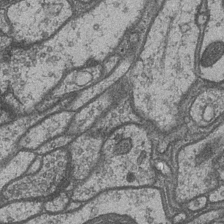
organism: Drosophila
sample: Optic medulla